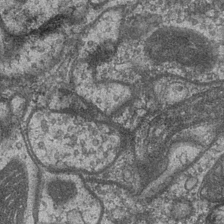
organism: Drosophila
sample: Optic medulla